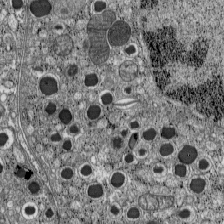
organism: C57BL Mouse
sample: Pancreatic islet